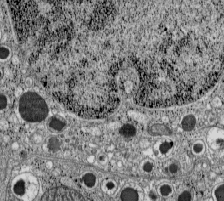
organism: C57BL Mouse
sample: Pancreatic islet